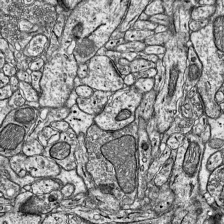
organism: Mouse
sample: Visual Cortex